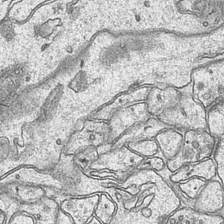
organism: Mouse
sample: CA1 Hippocampus